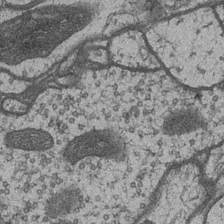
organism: Drosophila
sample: Optic medulla